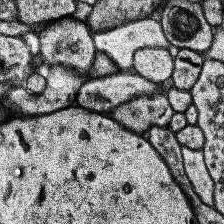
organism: Human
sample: Temporal Lobe